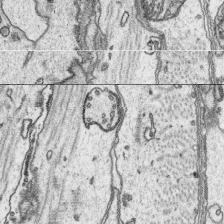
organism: Platynereis dumerilii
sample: Parapodia